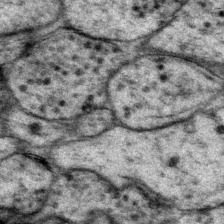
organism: P. pacificus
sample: Pharynx